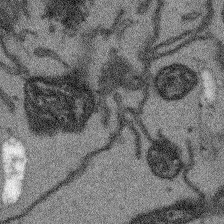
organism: Arabidopsis thaliana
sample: Root tip